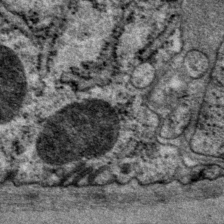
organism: P. pacificus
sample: Pharynx